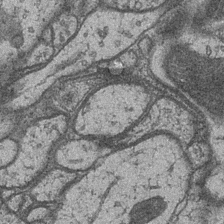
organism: Drosophila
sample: Optic medulla